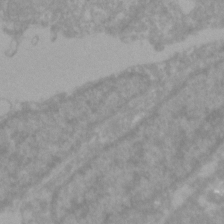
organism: Zebrafish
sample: Zebrafish embryo